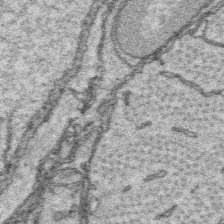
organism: Platynereis dumerilii